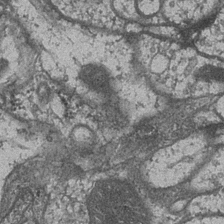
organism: Drosophila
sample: Optic medulla